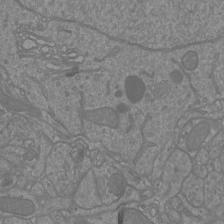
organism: Mouse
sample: Cortical neurons